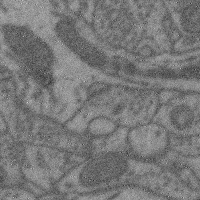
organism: Mouse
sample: Cerebral cortex